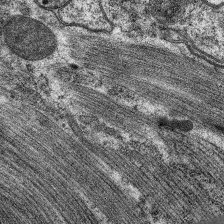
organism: C. elegans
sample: Pharynx